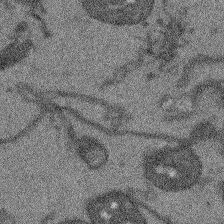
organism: Arabidopsis thaliana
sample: Root tip